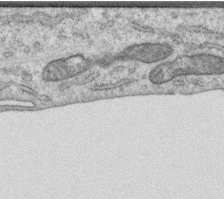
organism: Human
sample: Centriole in RPE cells